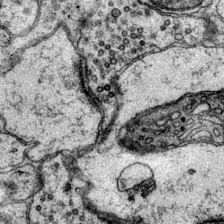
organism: Mouse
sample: Primary visual cortex